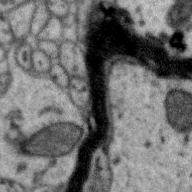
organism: Zebra finch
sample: Brain